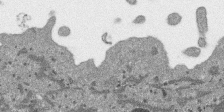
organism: Human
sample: Lung epithelial cells infected with SARS-CoV-2